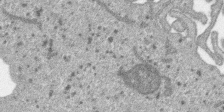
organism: Human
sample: Lung epithelial cells infected with SARS-CoV-2